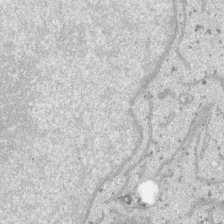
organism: Human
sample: Lung epithelial cells infected with SARS-CoV-2